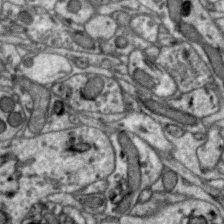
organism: Zebra finch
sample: Brain